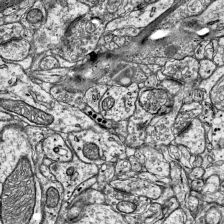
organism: Mouse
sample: Visual Cortex